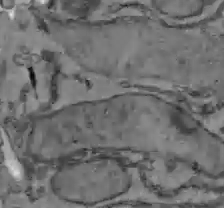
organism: C57BL Mouse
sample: Liver